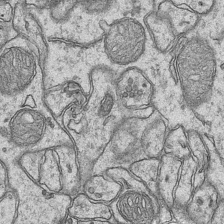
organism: Mouse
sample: CA1 Hippocampus